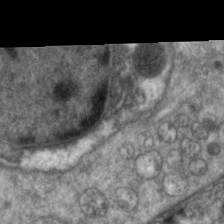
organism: C. elegans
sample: Pharynx